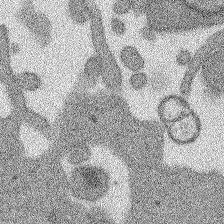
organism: Human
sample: HeLa cells